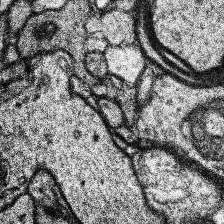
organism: Human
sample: Temporal Lobe